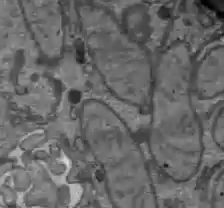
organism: C57BL Mouse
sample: Liver